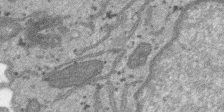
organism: Human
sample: Lung epithelial cells infected with SARS-CoV-2